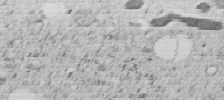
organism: C. elegans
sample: C. elegans embryo early stage